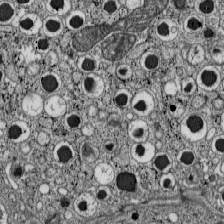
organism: C57BL Mouse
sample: Pancreatic islet